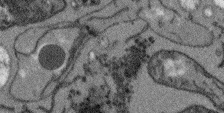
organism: Arabidopsis thaliana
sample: Root tip